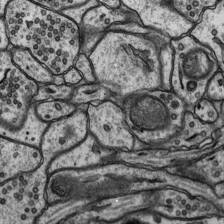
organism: Rat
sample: Hippocampus